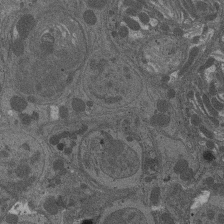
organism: Drosophila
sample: Antenna